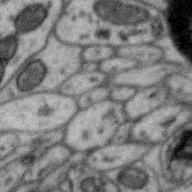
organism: Zebra finch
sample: Brain